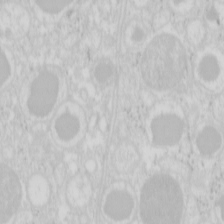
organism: Mouse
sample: Pancreas